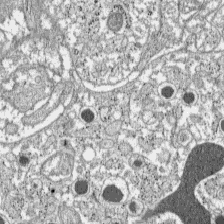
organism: C57BL Mouse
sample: Pancreatic islet